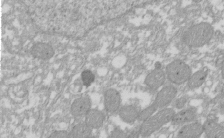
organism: Xenopus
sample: Cilia; centrioles in frog embryo cells